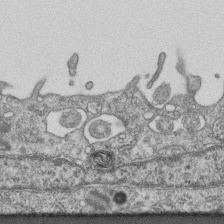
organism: Mouse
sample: Centriole in ependymal cells